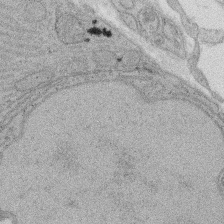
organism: Rat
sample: Salivary granule